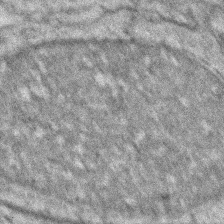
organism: Zebrafish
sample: Zebrafish embryo